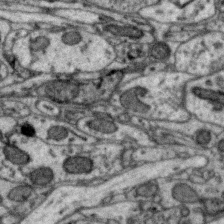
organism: Zebra finch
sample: Brain